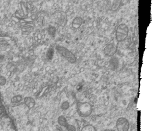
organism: Human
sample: MDA-MB-231 cells